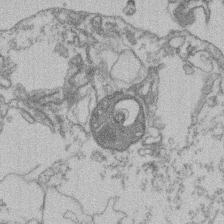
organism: Mouse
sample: T cell stromal cell synapse